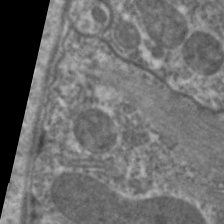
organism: C. elegans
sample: Pharynx